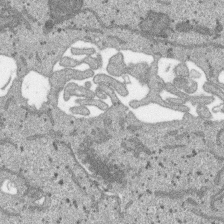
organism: Human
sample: Lung epithelial cells infected with SARS-CoV-2